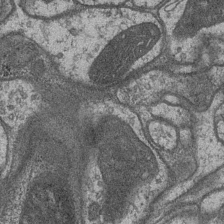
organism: Drosophila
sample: Optic medulla